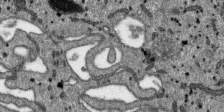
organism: Human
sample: Lung epithelial cells, uninfected (mock) control